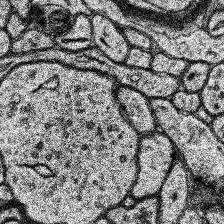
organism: Human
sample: Temporal Lobe